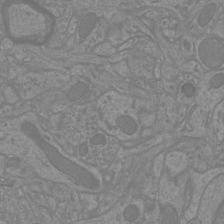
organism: Mouse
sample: Cortical neurons